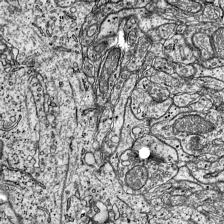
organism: Mouse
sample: Visual Cortex